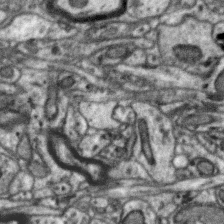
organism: Zebra finch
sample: Brain